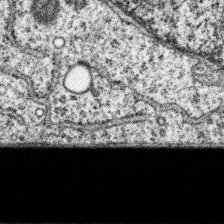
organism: Human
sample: HeLa cells